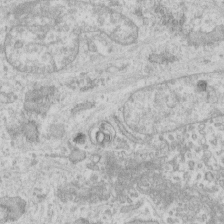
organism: Human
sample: Fibroblast cells